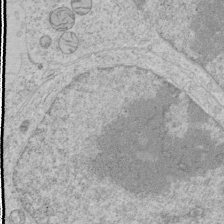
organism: Human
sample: Mitochondria in HCT116 cells